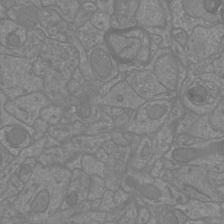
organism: Mouse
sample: Cortical neurons